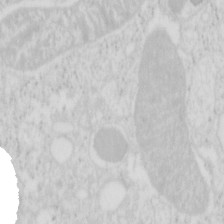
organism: Mouse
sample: Pancreas